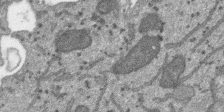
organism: Human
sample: Lung epithelial cells infected with SARS-CoV-2